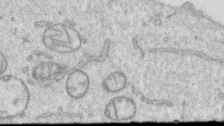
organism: Human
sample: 1205lu cells